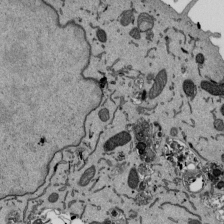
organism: Mouse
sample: ED-1 cell nuclei; centrioles